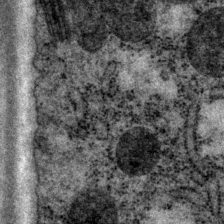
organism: P. pacificus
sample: Pharynx